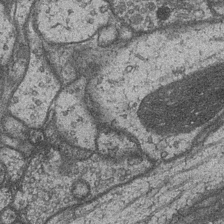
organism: Drosophila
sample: Optic medulla